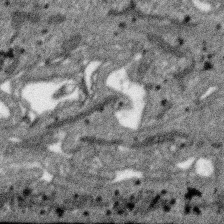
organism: Human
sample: Lung epithelial cells infected with SARS-CoV-2